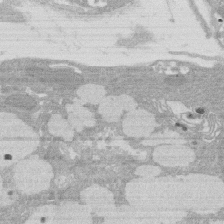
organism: Rat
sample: Salivary granule